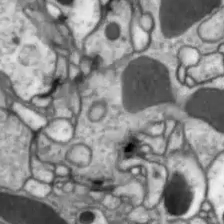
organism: Drosophila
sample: Optic lobe